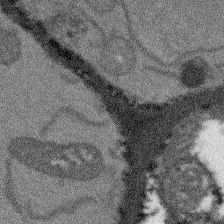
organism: Arabidopsis thaliana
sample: Root tip